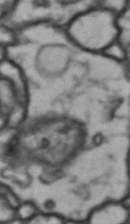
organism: Drosophila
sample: Brain